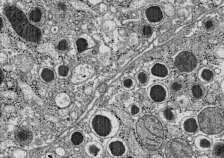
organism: C57BL Mouse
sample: Pancreatic islet